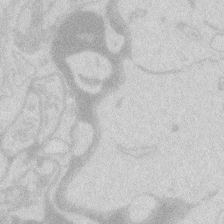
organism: Zebrafish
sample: Macrophage